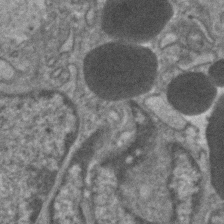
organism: Human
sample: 1205lu cells